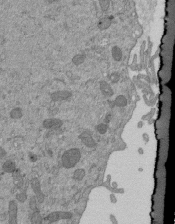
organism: Mouse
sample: ED-1 cell nuclei; centrioles